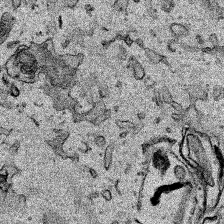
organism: Human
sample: Mitochondria in HCT116 cells